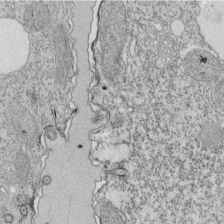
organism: Tetrahymena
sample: Cilia in tetrahymena